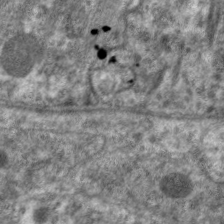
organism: C. elegans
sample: Pharynx